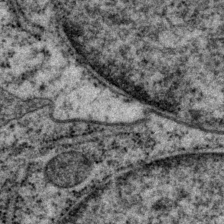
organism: P. pacificus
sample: Pharynx